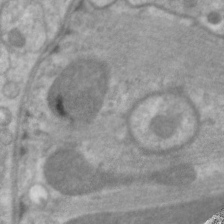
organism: C. elegans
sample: Pharynx